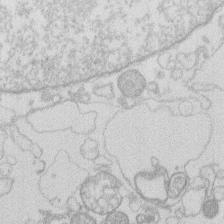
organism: Human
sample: Macrophage cells